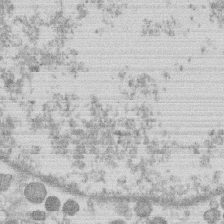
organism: Human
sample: Macrophage cells